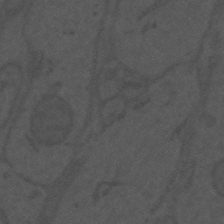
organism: Mouse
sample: Suprachiasmatic nucleus